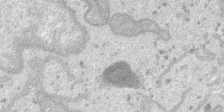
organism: Human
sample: Lung epithelial cells infected with SARS-CoV-2